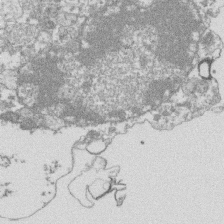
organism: Human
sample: HeLa cell HIV synapse